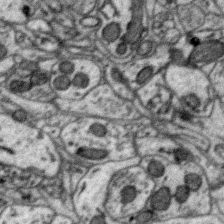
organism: Zebra finch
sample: Brain